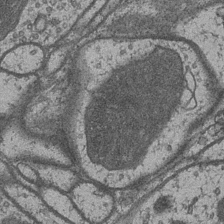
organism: Drosophila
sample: Optic medulla